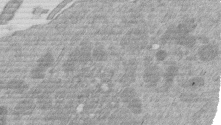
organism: Mouse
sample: Dividing mouse embryo 1 cell stage